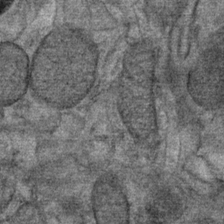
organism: Mouse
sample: Mouse Salivary gland